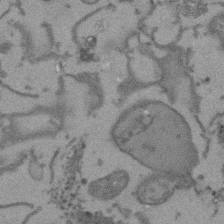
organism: Arabidopsis thaliana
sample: Root tip